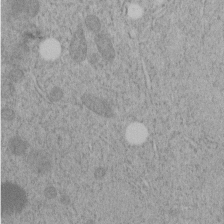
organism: C. elegans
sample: C. elegans embryo early stage